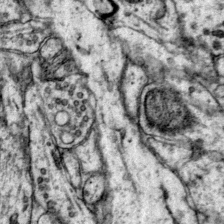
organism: Mouse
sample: Primary visual cortex